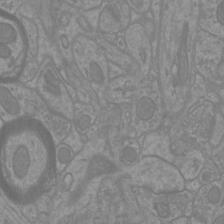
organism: Mouse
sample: Cortical neurons